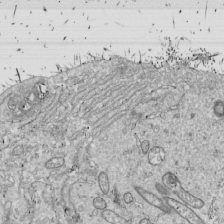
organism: Drosophila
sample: Cell division; meiosis; drosophila spermatocytes